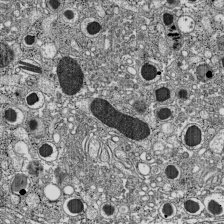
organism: C57BL Mouse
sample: Pancreatic islet